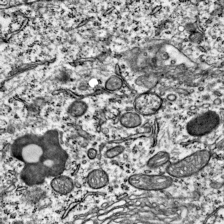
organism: Mouse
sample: Visual Cortex